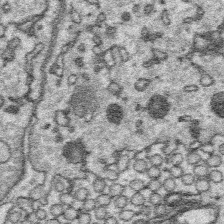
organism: Platynereis dumerilii